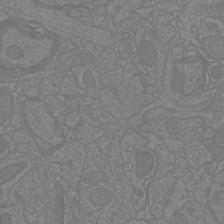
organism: Mouse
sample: Cortical neurons